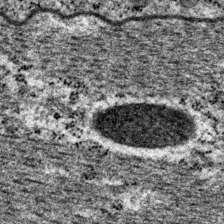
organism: P. pacificus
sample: Pharynx